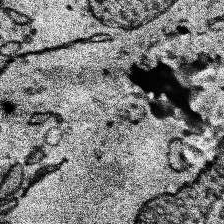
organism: Human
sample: Temporal Lobe